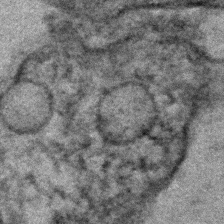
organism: Human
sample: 1205lu cells